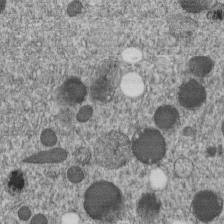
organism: C. elegans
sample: C. elegans embryo early stage